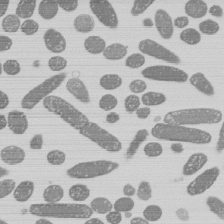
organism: E. coli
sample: Bacterial nucleoid